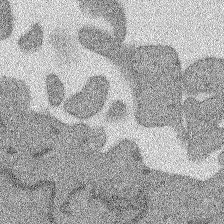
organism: Human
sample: HeLa cells